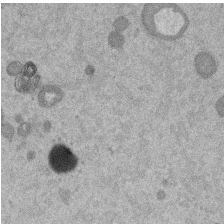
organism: Mouse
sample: Dividing mouse embryo 1 cell stage